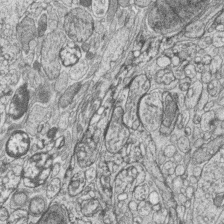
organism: Zebrafish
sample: synaptic ribbons in rod cells and cone cells